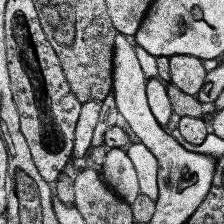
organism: Human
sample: Temporal Lobe